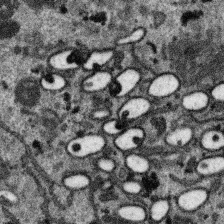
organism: Human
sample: Lung epithelial cells infected with SARS-CoV-2